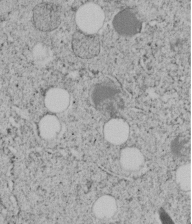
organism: C. elegans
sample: C. elegans embryo early stage